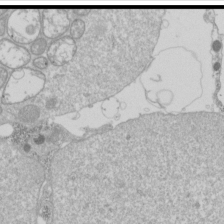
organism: Drosophila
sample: Cell division; meiosis; drosophila spermatocytes